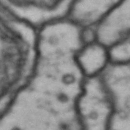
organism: Drosophila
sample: Brain